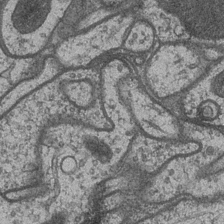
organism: Drosophila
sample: Optic medulla